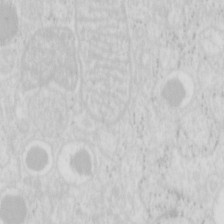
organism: Mouse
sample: Pancreas